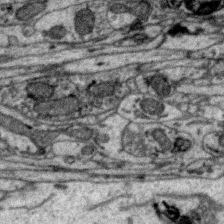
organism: Zebra finch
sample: Brain